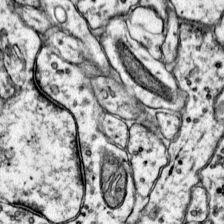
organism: Mouse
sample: Primary visual cortex